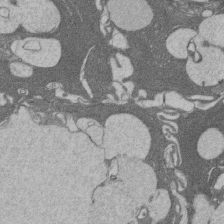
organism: Rat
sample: Salivary granule